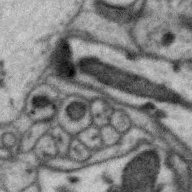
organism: Zebra finch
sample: Brain